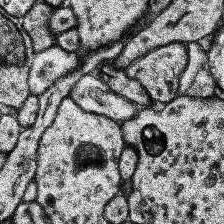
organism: Human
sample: Temporal Lobe